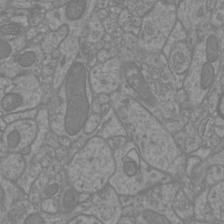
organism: Mouse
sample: Cortical neurons